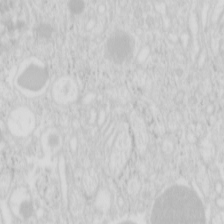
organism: Mouse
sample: Pancreas